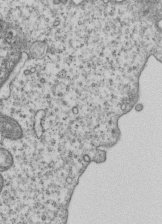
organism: Human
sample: MDA-MB-231 cells